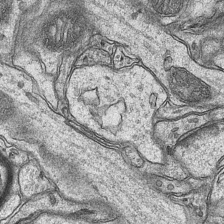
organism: Mouse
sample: CA1 Hippocampus